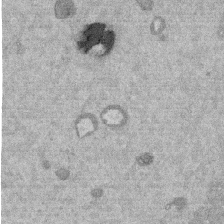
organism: Mouse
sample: Dividing mouse embryo 1 cell stage